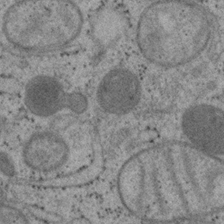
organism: Human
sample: HeLa cells